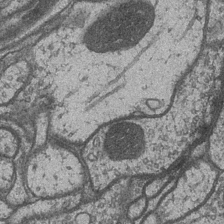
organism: Drosophila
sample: Optic medulla